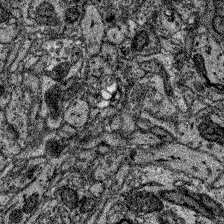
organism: Zebrafish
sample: Larval olfactory bulb